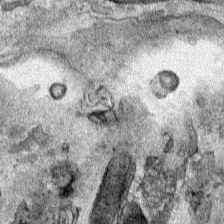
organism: Human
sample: Mitochondria in HCT116 cells